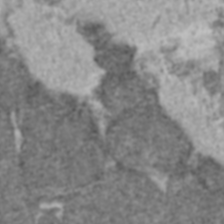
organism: C57BL Mouse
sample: Heart